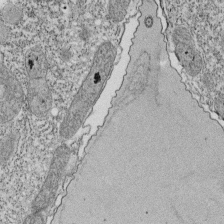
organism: Tetrahymena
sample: Cilia in tetrahymena